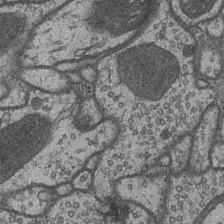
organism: Drosophila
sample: Optic medulla